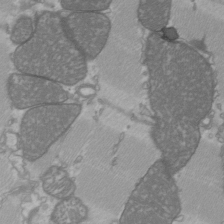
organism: C57BL Mouse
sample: Heart